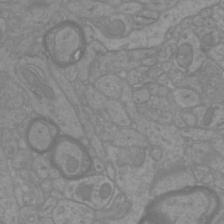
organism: Mouse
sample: Cortical neurons